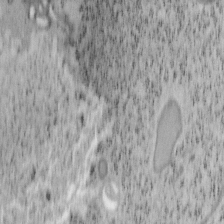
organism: Human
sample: HeLa cells